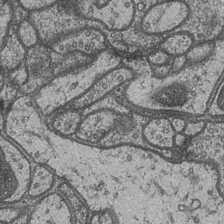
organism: Drosophila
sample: Optic medulla